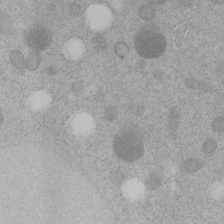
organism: C. elegans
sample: C. elegans embryo early stage